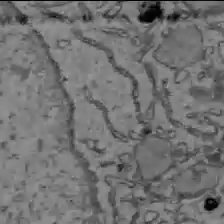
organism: C57BL Mouse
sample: Liver